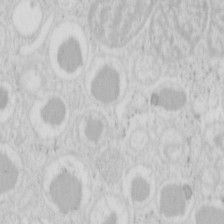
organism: Mouse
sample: Pancreas